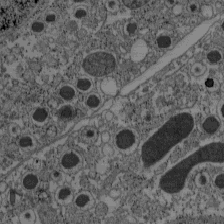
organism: C57BL Mouse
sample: Pancreatic islet